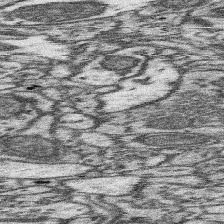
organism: Mouse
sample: Somatosensory cortex neuropil